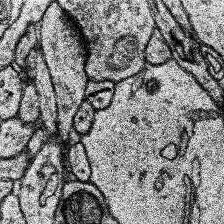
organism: Human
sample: Temporal Lobe